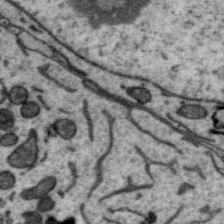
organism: Zebra finch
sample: Brain